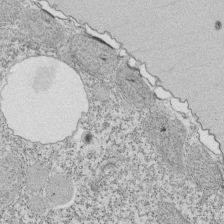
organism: Tetrahymena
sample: Cilia in tetrahymena